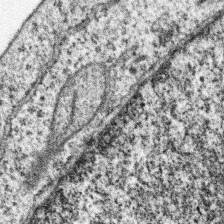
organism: Human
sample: HeLa cells